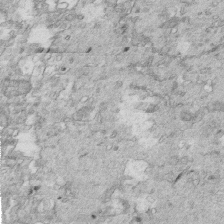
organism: Mouse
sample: Multiciliated cells